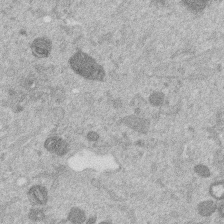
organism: Mouse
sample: Dividing mouse embryo 1 cell stage